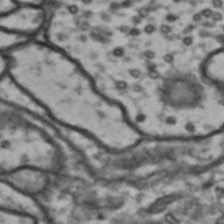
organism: Drosophila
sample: Brain